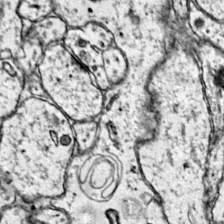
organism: Mouse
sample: Primary visual cortex